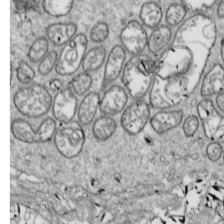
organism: Drosophila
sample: Cell division; meiosis; drosophila spermatocytes